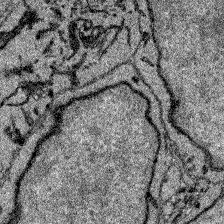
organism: Zebrafish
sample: Larval olfactory bulb